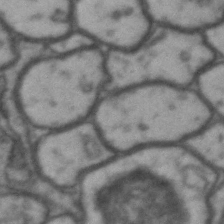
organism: Drosophila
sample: Brain